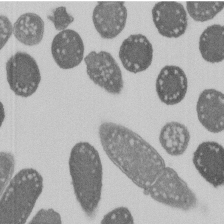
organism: E. coli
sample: Bacterial nucleoid